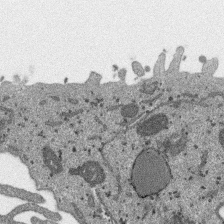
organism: Human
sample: Lung epithelial cells infected with SARS-CoV-2